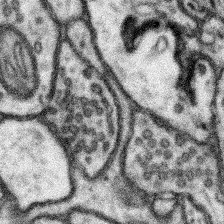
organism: Mouse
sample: Somatosensory cortex neuropil